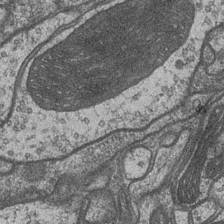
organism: Drosophila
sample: Optic medulla